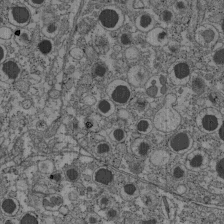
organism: C57BL Mouse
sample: Pancreatic islet